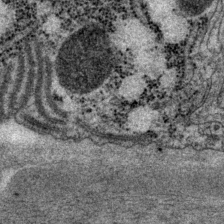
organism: P. pacificus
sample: Pharynx